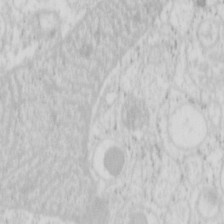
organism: Mouse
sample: Pancreas